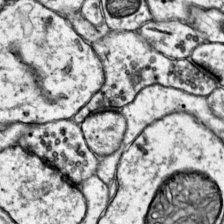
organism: Mouse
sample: Primary visual cortex